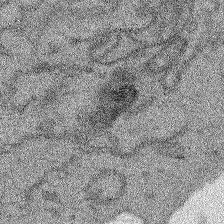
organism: Human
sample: HeLa cells